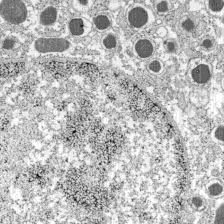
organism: C57BL Mouse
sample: Pancreatic islet